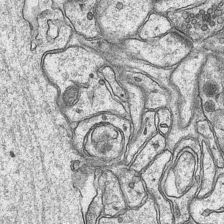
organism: Mouse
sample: CA1 Hippocampus